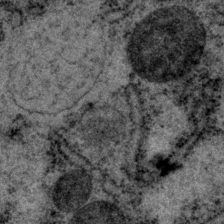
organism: P. pacificus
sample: Pharynx